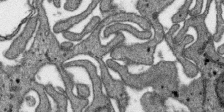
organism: Human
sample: Lung epithelial cells, uninfected (mock) control